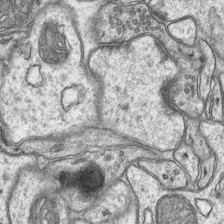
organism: Mouse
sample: CA1 Hippocampus